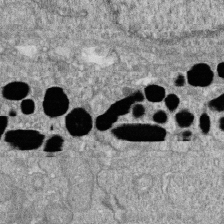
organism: Zebrafish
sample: Cilia; retinal pigment epithelium